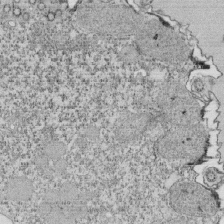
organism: Tetrahymena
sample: Cilia in tetrahymena